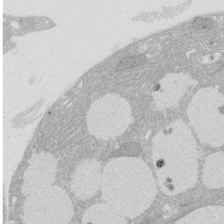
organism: Rat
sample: Salivary granule